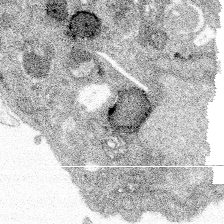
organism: Spongilla lacustris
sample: Multiple